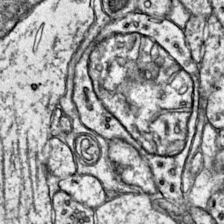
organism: Mouse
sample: Primary visual cortex